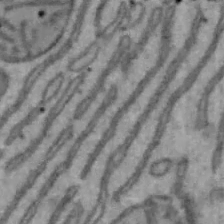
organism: Mouse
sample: Liver